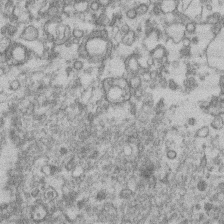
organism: Mouse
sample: T cell stromal cell synapse